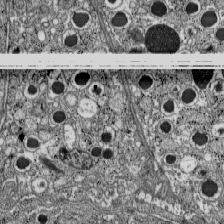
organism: C57BL Mouse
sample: Pancreatic islet